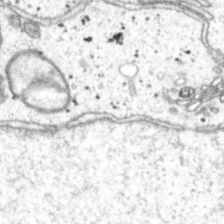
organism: Human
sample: HeLa cells